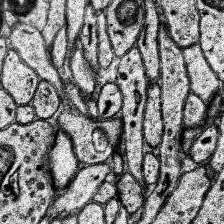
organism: Human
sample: Temporal Lobe